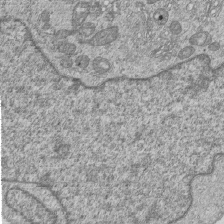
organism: Human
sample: MDA-MB-231 cells